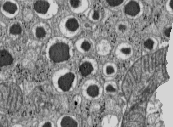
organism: C57BL Mouse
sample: Pancreatic islet